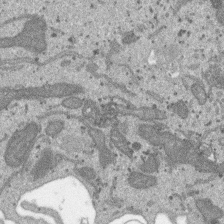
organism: Human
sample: Lung epithelial cells infected with SARS-CoV-2